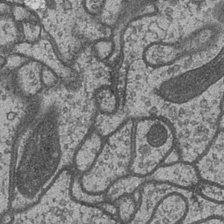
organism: Drosophila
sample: Optic medulla